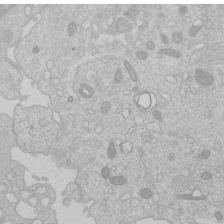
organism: Human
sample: Macrophage cells